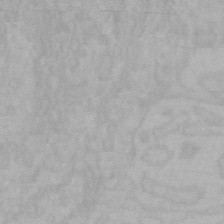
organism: Mouse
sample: Choroid plexus